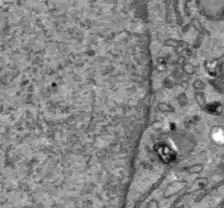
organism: C57BL Mouse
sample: Liver